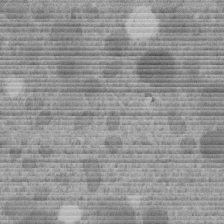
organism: C. elegans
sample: C. elegans embryo early stage